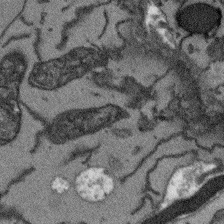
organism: Arabidopsis thaliana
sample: Root tip